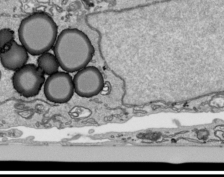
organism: Human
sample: Mitochondria in HCT116 cells